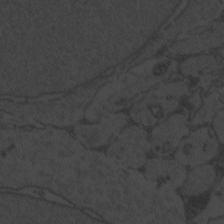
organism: Zebrafish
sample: Macrophage infected with Toxoplasma gondii